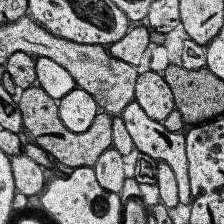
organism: Human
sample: Temporal Lobe